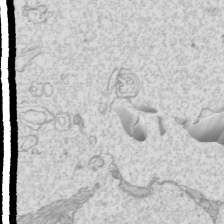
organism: Mouse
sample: Cilia; mouse epididymis